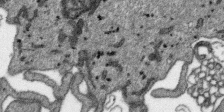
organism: Human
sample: Lung epithelial cells, uninfected (mock) control